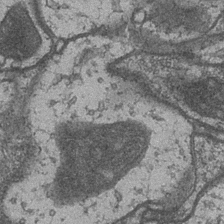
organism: Drosophila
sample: Optic medulla